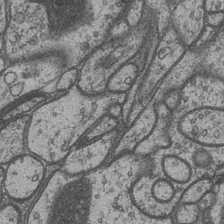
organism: Drosophila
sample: Optic medulla